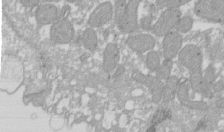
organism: Xenopus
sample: Cilia; centrioles in frog embryo cells